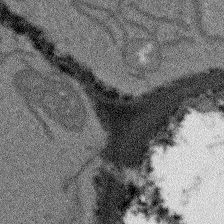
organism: Arabidopsis thaliana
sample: Root tip